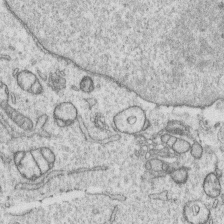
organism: Human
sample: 1205lu cells